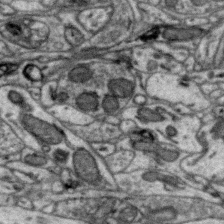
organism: Zebra finch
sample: Brain